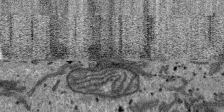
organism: Human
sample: Lung epithelial cells, uninfected (mock) control